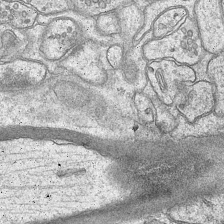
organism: Mouse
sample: CA1 Hippocampus